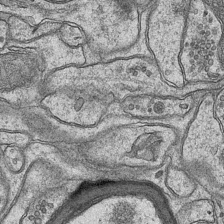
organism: Mouse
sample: CA1 Hippocampus